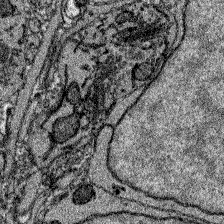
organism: Zebrafish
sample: Larval olfactory bulb